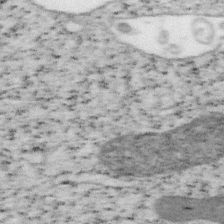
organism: Mouse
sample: OT-I killer T cells with ID8 ovarian cancer cells